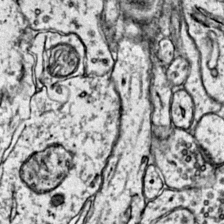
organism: Mouse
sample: Primary visual cortex